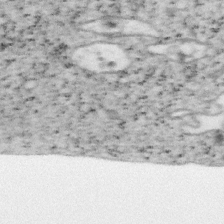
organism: Mouse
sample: OT-I killer T cells with ID8 ovarian cancer cells